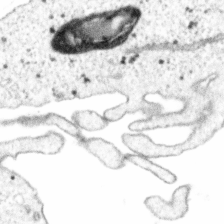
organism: Human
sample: HeLa cells